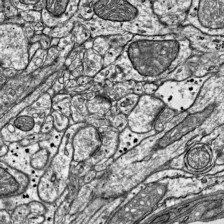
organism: Mouse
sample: Visual Cortex